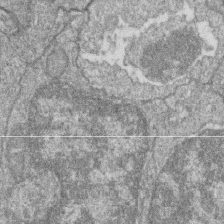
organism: Zebrafish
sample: Cilia; retinal pigment epithelium